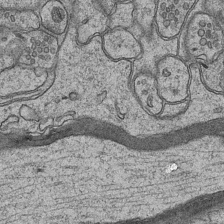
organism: Mouse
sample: CA1 Hippocampus